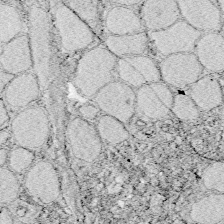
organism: Zebrafish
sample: Whole-Brain